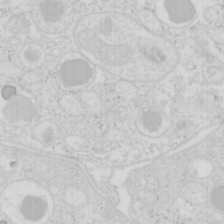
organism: Mouse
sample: Pancreas